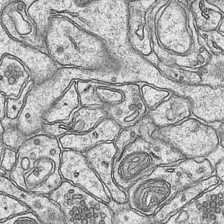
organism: Mouse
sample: CA1 Hippocampus